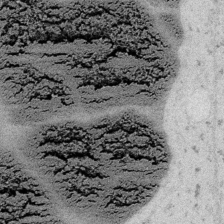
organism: Embia sp.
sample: Silk gland